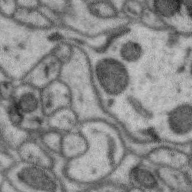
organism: Zebra finch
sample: Brain